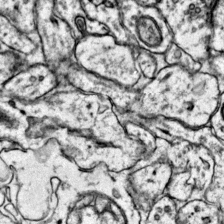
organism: Mouse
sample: Primary visual cortex